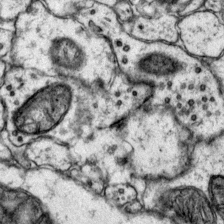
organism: Mouse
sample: Primary visual cortex